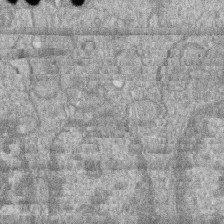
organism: Zebrafish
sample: Cilia; retinal pigment epithelium